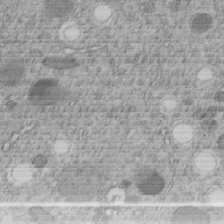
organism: C. elegans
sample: C. elegans embryo early stage